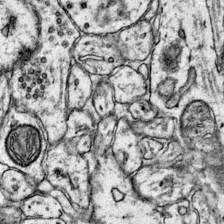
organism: Mouse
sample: Primary visual cortex